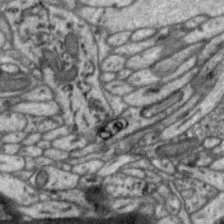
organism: Zebra finch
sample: Brain